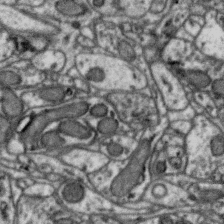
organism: Zebra finch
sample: Brain